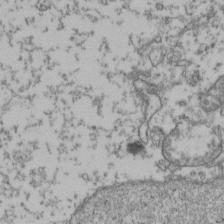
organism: Human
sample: Activated Jurkat CD4+ T cells